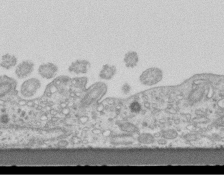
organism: Mouse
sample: Centriole in ependymal cells